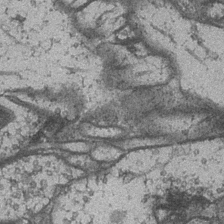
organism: Drosophila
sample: Optic medulla